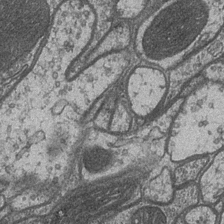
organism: Drosophila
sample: Optic medulla